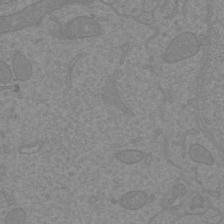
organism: Mouse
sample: Cortical neurons